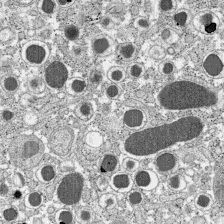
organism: C57BL Mouse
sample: Pancreatic islet